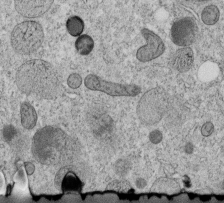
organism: C. elegans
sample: C. elegans embryo early stage